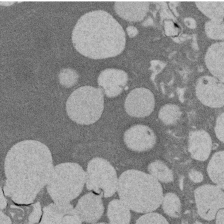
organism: Rat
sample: Salivary granule